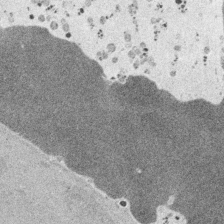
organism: Embia sp.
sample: Silk gland